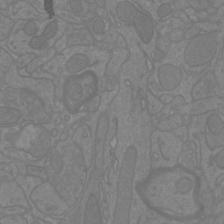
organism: Mouse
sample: Cortical neurons